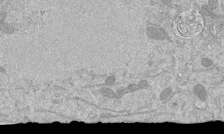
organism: Mouse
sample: ED-1 cell nuclei; centrioles